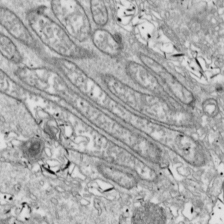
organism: Drosophila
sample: Cell division; meiosis; drosophila spermatocytes